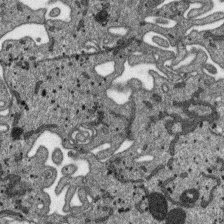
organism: Human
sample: Lung epithelial cells infected with SARS-CoV-2